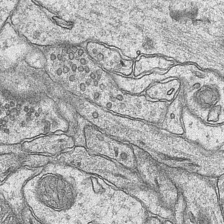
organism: Mouse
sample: CA1 Hippocampus